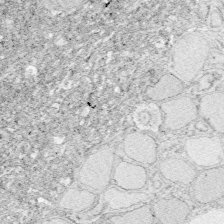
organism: Zebrafish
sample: Whole-Brain